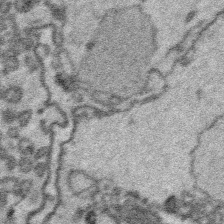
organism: Platynereis dumerilii